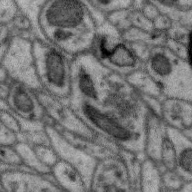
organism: Zebra finch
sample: Brain